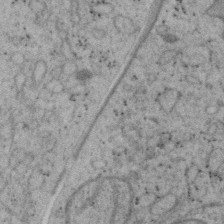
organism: Human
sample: HeLa cells